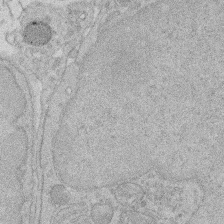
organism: Rat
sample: Salivary granule